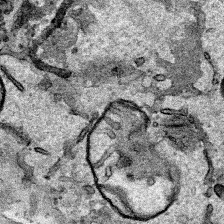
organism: Human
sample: Mitochondria in HCT116 cells